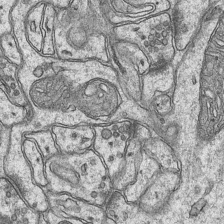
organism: Mouse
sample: CA1 Hippocampus